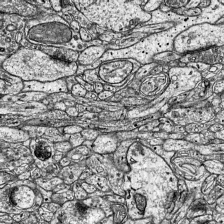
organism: Mouse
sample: Visual Cortex